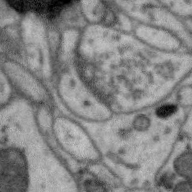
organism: Zebra finch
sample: Brain